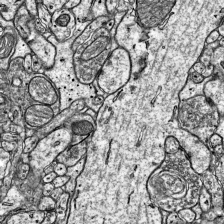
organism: Mouse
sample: Visual Cortex